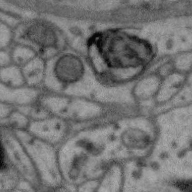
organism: Zebra finch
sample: Brain